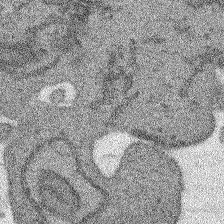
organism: Human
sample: HeLa cells